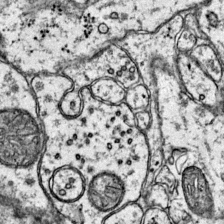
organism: Mouse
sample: Primary visual cortex